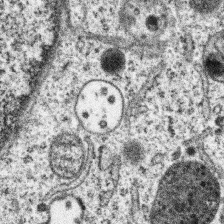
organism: Human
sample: HeLa cells